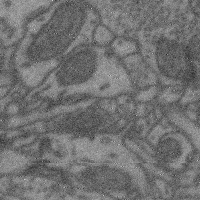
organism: Mouse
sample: Cerebral cortex